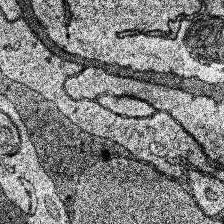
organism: Human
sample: Temporal Lobe